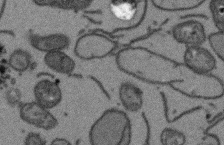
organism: Arabidopsis thaliana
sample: Root tip